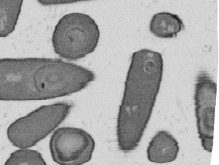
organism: B. subtilis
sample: Bacterial spore